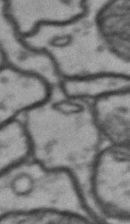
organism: Drosophila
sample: Brain